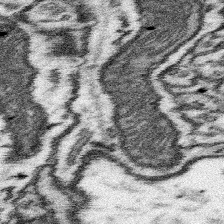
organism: Mouse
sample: Somatosensory cortex neuropil